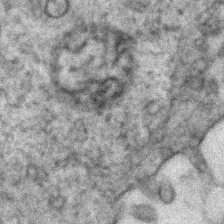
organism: Zebrafish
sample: Zebrafish embryo